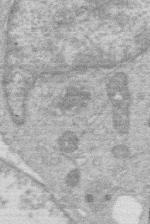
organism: Human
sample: Macrophage cells